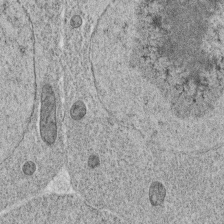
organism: C. elegans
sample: C. elegans oocyte; sperm cells